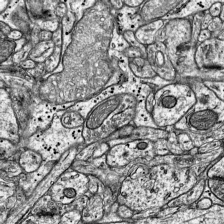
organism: Mouse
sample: Visual Cortex